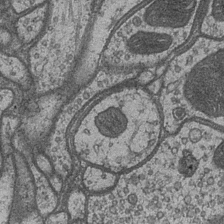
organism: Drosophila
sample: Optic medulla